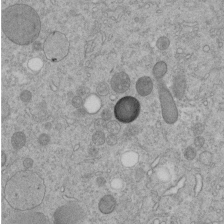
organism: C. elegans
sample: C. elegans embryo early stage